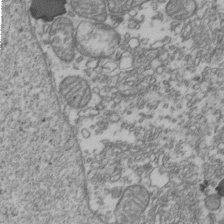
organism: Human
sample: Activated Jurkat CD4+ T cells